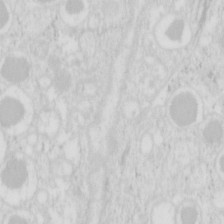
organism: Mouse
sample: Pancreas